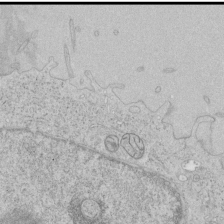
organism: Human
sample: Mitochondria in HCT116 cells